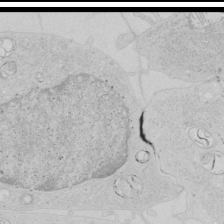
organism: Human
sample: Mitochondria in HCT116 cells